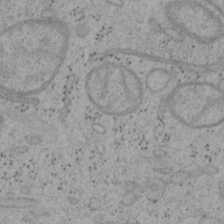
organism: Human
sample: HeLa cells